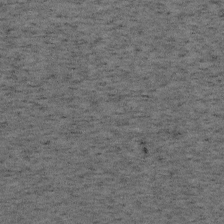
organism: Mouse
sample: OT-I killer T cells with ID8 ovarian cancer cells